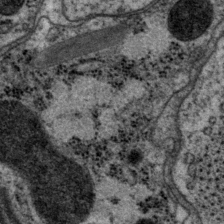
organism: P. pacificus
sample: Pharynx